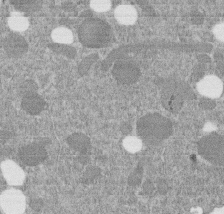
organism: C. elegans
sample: C. elegans embryo early stage